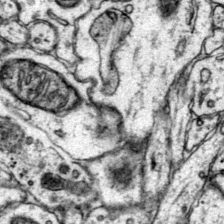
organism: Mouse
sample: Primary visual cortex